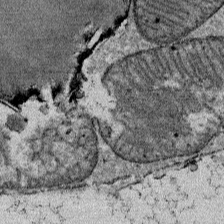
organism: Mouse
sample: Mouse Salivary gland